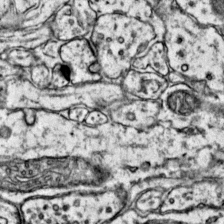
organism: Mouse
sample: Primary visual cortex